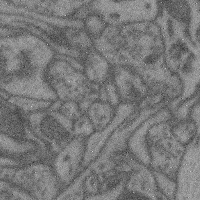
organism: Mouse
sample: Cerebral cortex